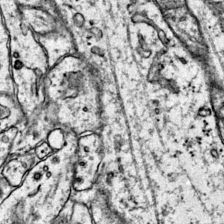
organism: Mouse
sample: Primary visual cortex